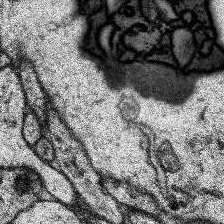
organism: Human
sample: Temporal Lobe